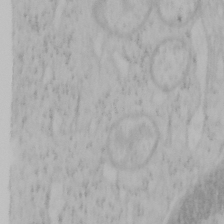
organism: Mouse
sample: OT-I killer T cells with ID8 ovarian cancer cells